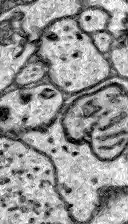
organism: Zebrafish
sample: Brain